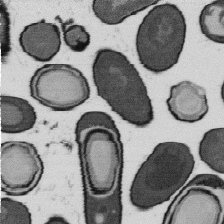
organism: B. subtilis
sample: Bacterial spore